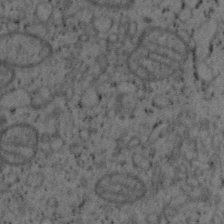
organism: Human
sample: HeLa cells